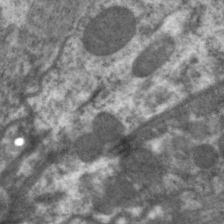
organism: C. elegans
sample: Pharynx